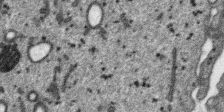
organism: Human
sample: Lung epithelial cells infected with SARS-CoV-2